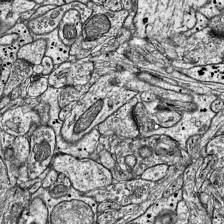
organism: Mouse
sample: Visual Cortex